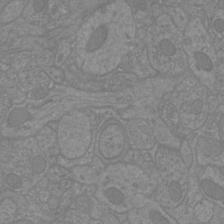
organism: Mouse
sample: Cortical neurons